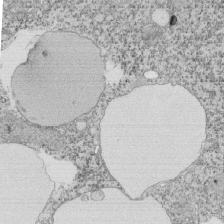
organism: Tetrahymena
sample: Cilia in tetrahymena